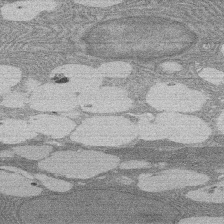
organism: Rat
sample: Salivary granule